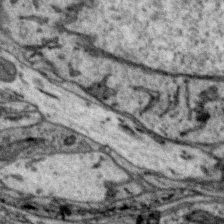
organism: Zebra finch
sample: Brain